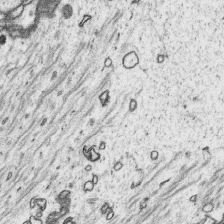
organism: Platynereis dumerilii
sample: Parapodia